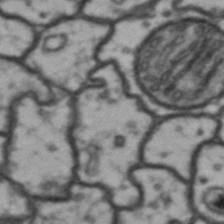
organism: Drosophila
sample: Brain